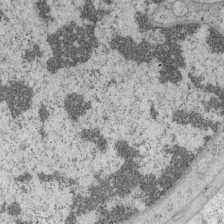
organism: Mouse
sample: OT-I killer T cells with ID8 ovarian cancer cells